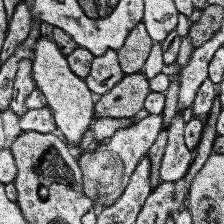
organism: Human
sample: Temporal Lobe